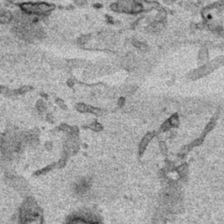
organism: Human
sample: Mitochondria in HCT116 cells